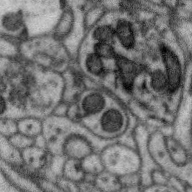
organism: Zebra finch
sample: Brain